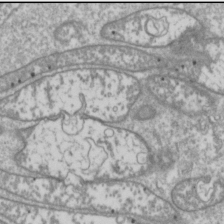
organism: Drosophila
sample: Cell division; meiosis; drosophila spermatocytes